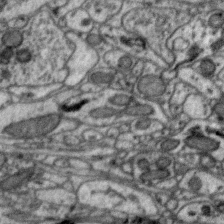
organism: Zebra finch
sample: Brain